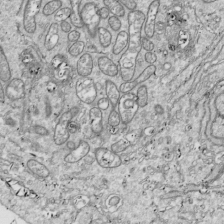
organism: Drosophila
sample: Cell division; meiosis; drosophila spermatocytes